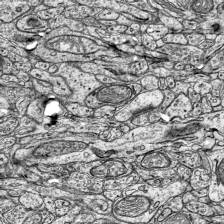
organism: Mouse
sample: Visual Cortex